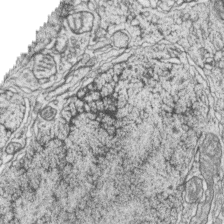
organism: Zebrafish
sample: synaptic ribbons in rod cells and cone cells